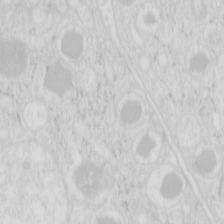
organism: Mouse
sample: Pancreas